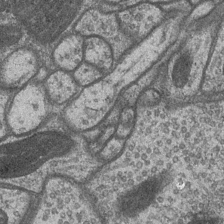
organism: Drosophila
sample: Optic medulla